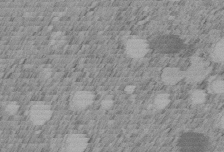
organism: C. elegans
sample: C. elegans embryo early stage